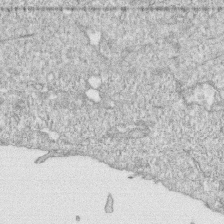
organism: Human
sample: HeLa cell HIV synapse